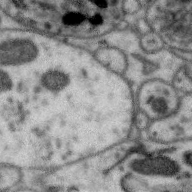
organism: Zebra finch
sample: Brain